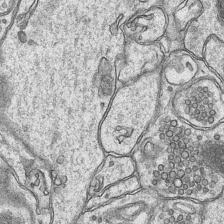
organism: Mouse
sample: CA1 Hippocampus